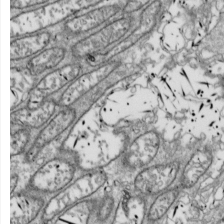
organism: Drosophila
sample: Cell division; meiosis; drosophila spermatocytes